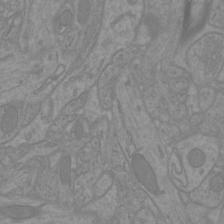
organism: Mouse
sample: Cortical neurons